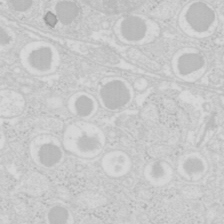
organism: Mouse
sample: Pancreas